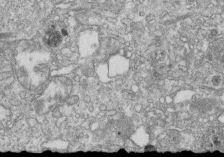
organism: Human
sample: HeLa cell HIV synapse